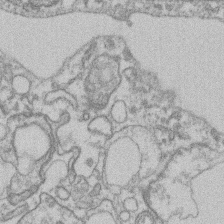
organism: Mouse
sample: T cell stromal cell synapse